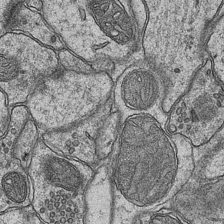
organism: Mouse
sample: CA1 Hippocampus